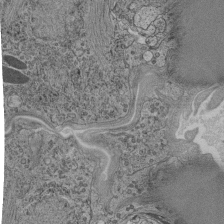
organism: C. elegans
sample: C. elegans pharynx